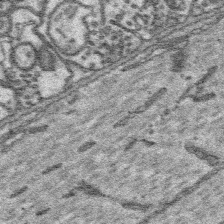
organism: Platynereis dumerilii